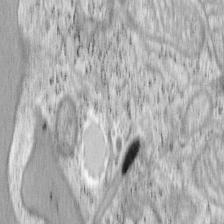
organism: Human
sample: HeLa cells